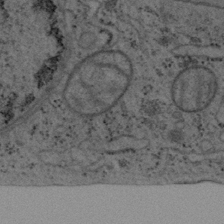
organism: Human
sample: HeLa cells